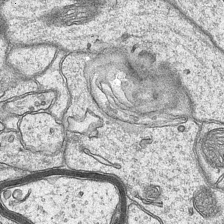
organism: Mouse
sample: CA1 Hippocampus